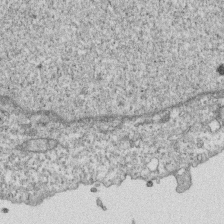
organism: Human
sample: HeLa cell HIV synapse